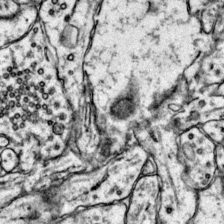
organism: Mouse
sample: Primary visual cortex